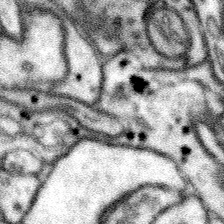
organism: Mouse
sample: Somatosensory cortex neuropil